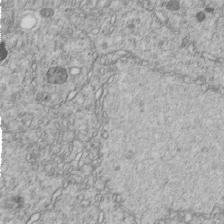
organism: C. elegans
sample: C. elegans embryo early stage